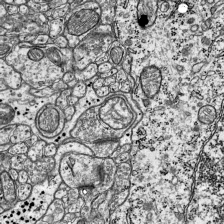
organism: Mouse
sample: Visual Cortex